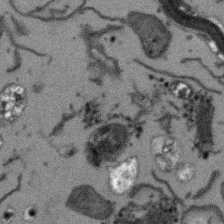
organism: Arabidopsis thaliana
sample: Root tip